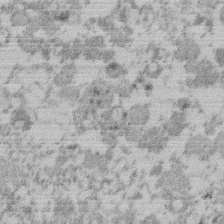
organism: Mouse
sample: Dividing mouse embryo 1 cell stage